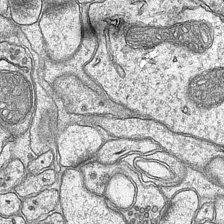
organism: Mouse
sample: CA1 Hippocampus